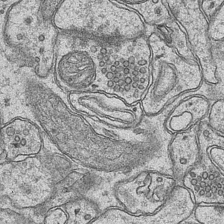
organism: Mouse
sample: CA1 Hippocampus